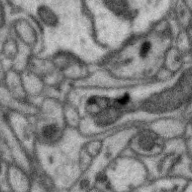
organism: Zebra finch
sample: Brain